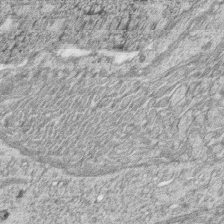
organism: Zebrafish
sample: synaptic ribbons in rod cells and cone cells